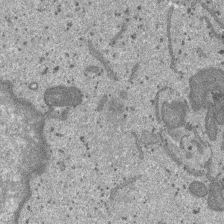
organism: Human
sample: Lung epithelial cells infected with SARS-CoV-2